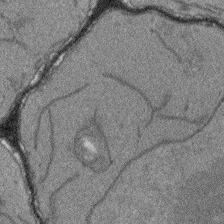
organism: Arabidopsis thaliana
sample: Root tip